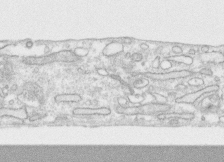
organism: Human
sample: CRL-1474